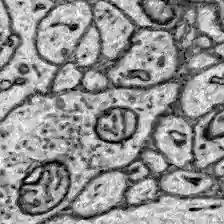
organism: Zebrafish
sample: Brain